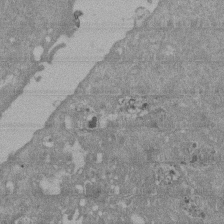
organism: Mouse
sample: ED-1 cell nuclei; centrioles